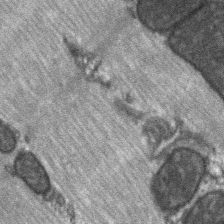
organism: C57BL Mouse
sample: Soleus